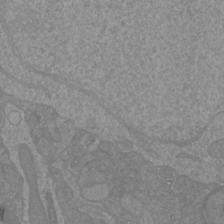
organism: Mouse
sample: Cortical neurons